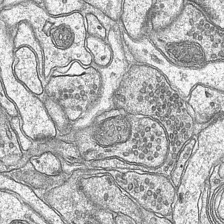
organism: Mouse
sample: CA1 Hippocampus